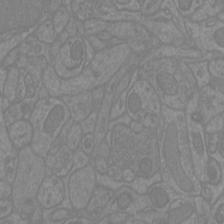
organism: Mouse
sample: Cortical neurons